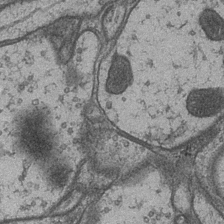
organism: Drosophila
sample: Optic medulla